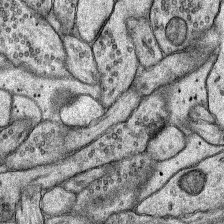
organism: Rat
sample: Hippocampus